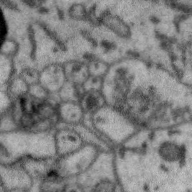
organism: Zebra finch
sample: Brain